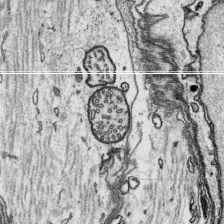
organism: Platynereis dumerilii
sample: Parapodia